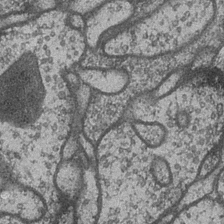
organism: Drosophila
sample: Optic medulla